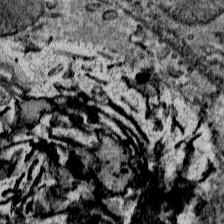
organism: Mouse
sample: Mouse Salivary gland